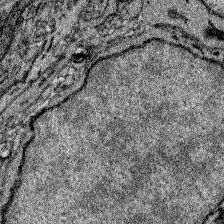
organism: Zebrafish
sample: Larval olfactory bulb